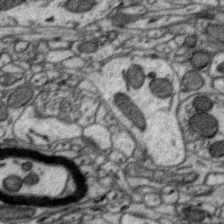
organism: Zebra finch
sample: Brain